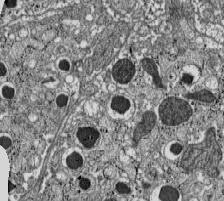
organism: C57BL Mouse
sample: Pancreatic islet